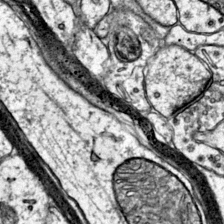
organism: Mouse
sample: Primary visual cortex